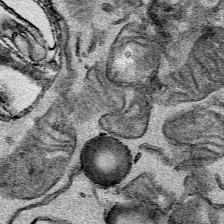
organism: Mouse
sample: Cancer cell death in ED-1 cells